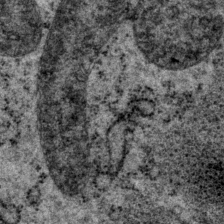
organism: P. pacificus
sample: Pharynx